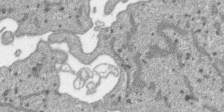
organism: Human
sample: Lung epithelial cells infected with SARS-CoV-2